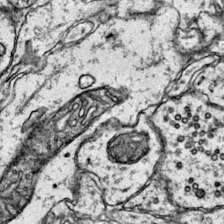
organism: Mouse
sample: Primary visual cortex